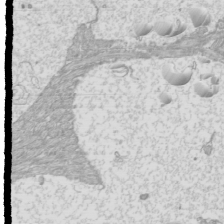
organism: Mouse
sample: Cilia; mouse epididymis